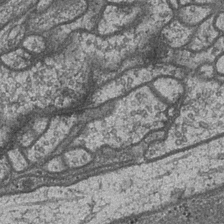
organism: Drosophila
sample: Optic medulla